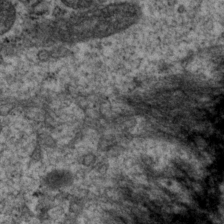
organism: P. pacificus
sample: Pharynx